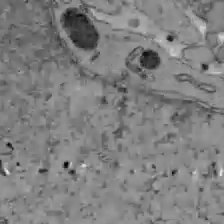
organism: C57BL Mouse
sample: Liver